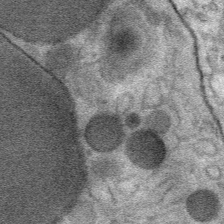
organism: Mouse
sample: Mouse Salivary gland